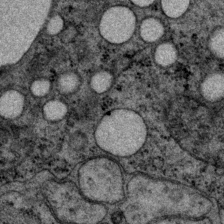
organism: P. pacificus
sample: Pharynx